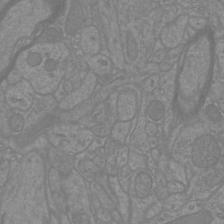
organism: Mouse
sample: Cortical neurons